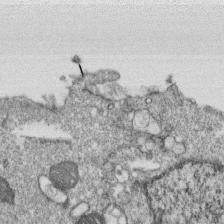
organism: African green monkey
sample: Vero E6 cells infected with SARS-CoV-2